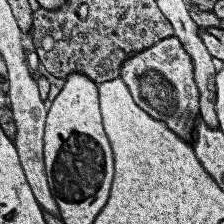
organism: Human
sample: Temporal Lobe